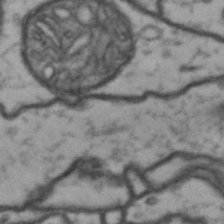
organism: Drosophila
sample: Brain